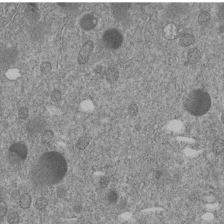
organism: C. elegans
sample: C. elegans embryo early stage